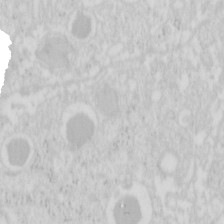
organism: Mouse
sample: Pancreas